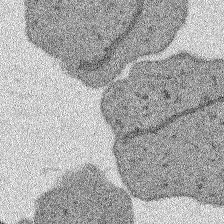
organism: Human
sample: HeLa cells